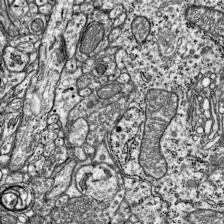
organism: Mouse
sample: Visual Cortex